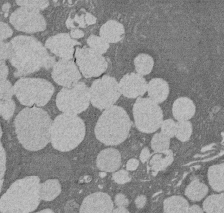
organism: Rat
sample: Salivary granule